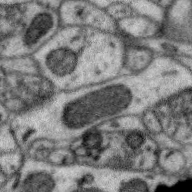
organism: Zebra finch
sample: Brain